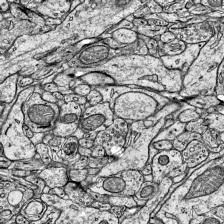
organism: Mouse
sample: Visual Cortex